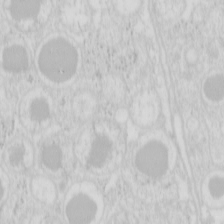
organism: Mouse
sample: Pancreas